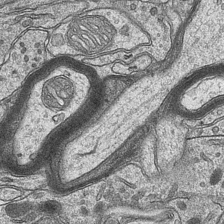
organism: Mouse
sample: CA1 Hippocampus